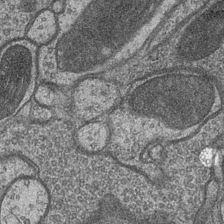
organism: Drosophila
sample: Optic medulla